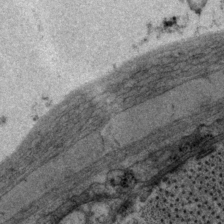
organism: P. pacificus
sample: Pharynx